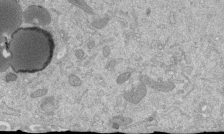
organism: Mouse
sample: ED-1 cell nuclei; centrioles